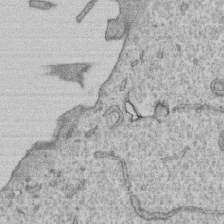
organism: Human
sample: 1205lu cells